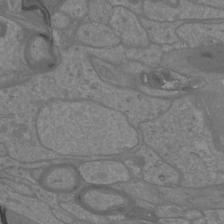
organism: Mouse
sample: Cortical neurons